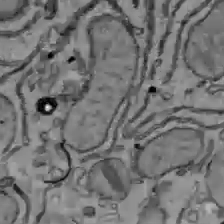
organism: C57BL Mouse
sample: Liver